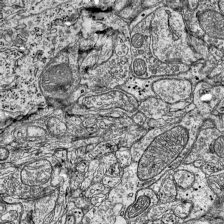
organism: Mouse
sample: Visual Cortex